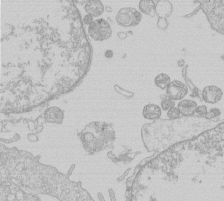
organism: Human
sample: Macrophage cells